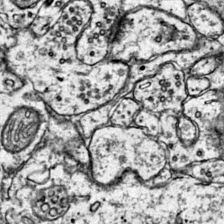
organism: Mouse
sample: Primary visual cortex